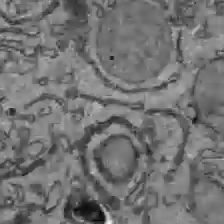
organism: C57BL Mouse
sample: Liver